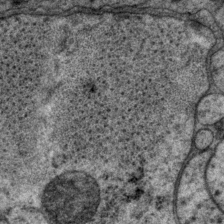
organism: P. pacificus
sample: Pharynx